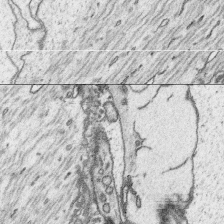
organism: Platynereis dumerilii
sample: Parapodia